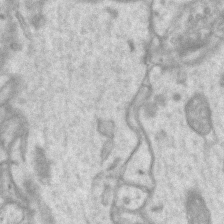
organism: Mouse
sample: CA1 Hippocampus